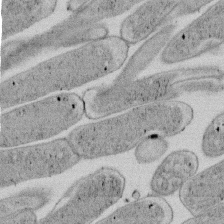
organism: E. coli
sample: Bacterial nucleoid